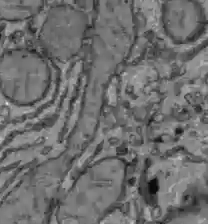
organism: C57BL Mouse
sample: Liver